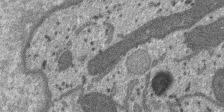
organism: Human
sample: Lung epithelial cells infected with SARS-CoV-2